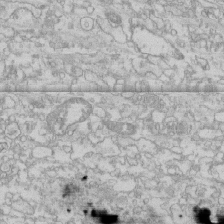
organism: Human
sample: CRL-1474